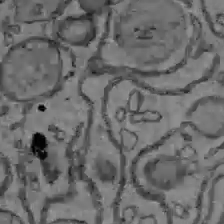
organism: C57BL Mouse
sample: Liver